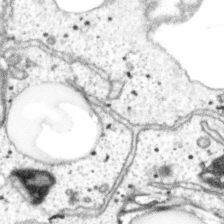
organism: Human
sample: HeLa cells